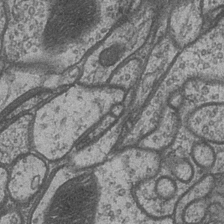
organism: Drosophila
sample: Optic medulla